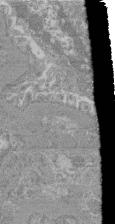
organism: Mouse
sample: Glomerulus